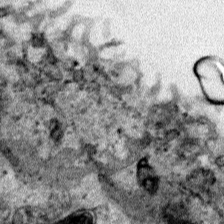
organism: Human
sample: Mitochondria in HCT116 cells